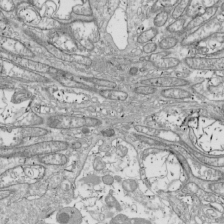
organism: Drosophila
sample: Cell division; meiosis; drosophila spermatocytes